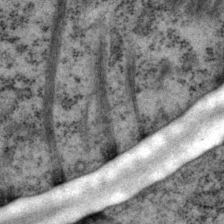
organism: P. pacificus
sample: Pharynx